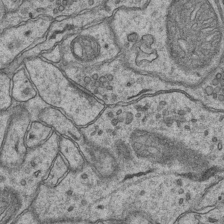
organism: Mouse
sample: CA1 Hippocampus